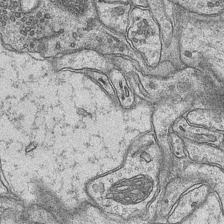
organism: Mouse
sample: CA1 Hippocampus